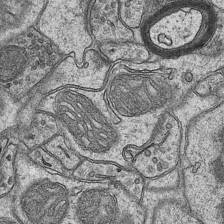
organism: Mouse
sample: CA1 Hippocampus